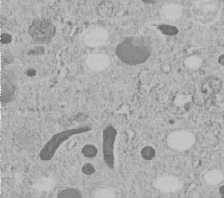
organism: C. elegans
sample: C. elegans embryo early stage